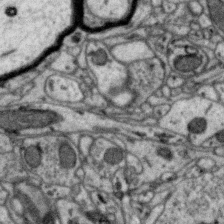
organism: Zebra finch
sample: Brain